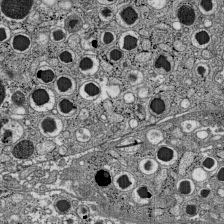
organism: C57BL Mouse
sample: Pancreatic islet